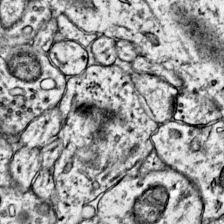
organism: Mouse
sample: Primary visual cortex